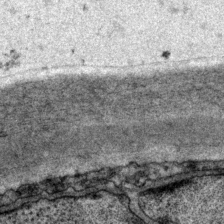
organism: P. pacificus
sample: Pharynx